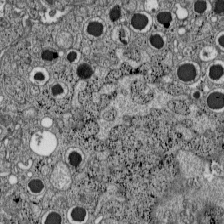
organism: C57BL Mouse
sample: Pancreatic islet